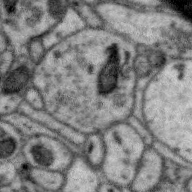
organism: Zebra finch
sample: Brain